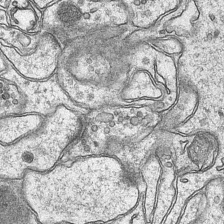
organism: Mouse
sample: CA1 Hippocampus